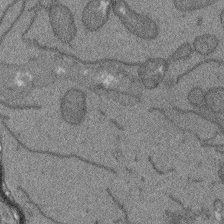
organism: Arabidopsis thaliana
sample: Root tip